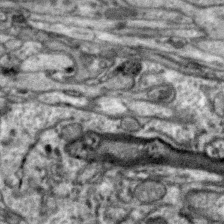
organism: Zebra finch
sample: Brain